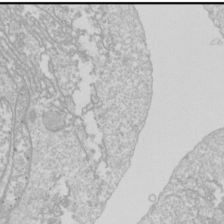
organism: Drosophila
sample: Cell division; meiosis; drosophila spermatocytes